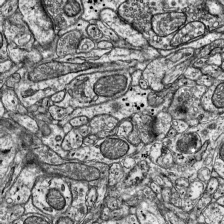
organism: Mouse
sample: Visual Cortex